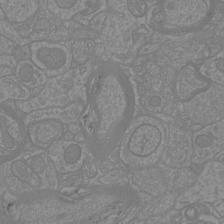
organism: Mouse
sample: Cortical neurons